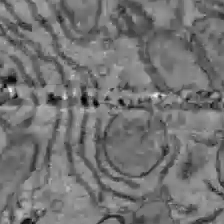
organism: C57BL Mouse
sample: Liver